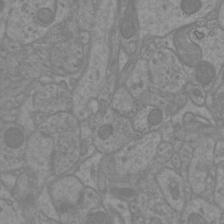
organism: Mouse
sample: Cortical neurons